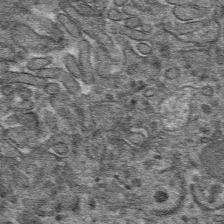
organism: Mouse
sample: Mouse hepatocytes